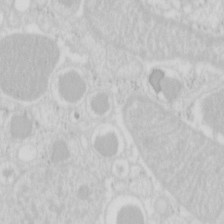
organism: Mouse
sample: Pancreas